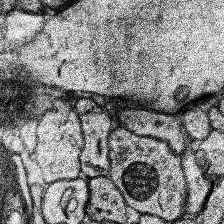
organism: Human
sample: Temporal Lobe